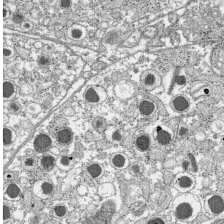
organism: C57BL Mouse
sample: Pancreatic islet